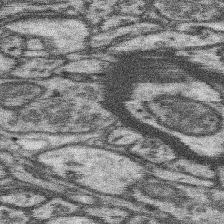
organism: Mouse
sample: Somatosensory cortex neuropil